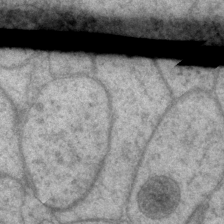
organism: P. pacificus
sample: Pharynx